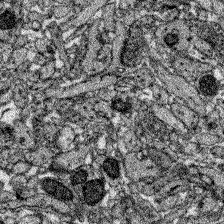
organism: Zebrafish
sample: Larval olfactory bulb